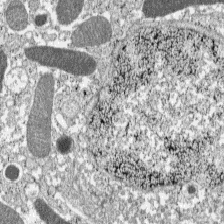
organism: C57BL Mouse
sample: Pancreatic islet